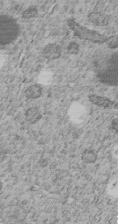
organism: C. elegans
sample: C. elegans embryo early stage